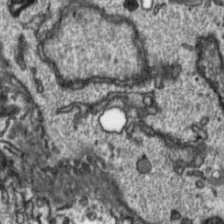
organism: Toxoplasma gondii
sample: Parasites in a vacuole inside a host cell